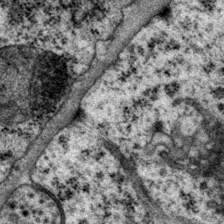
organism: P. pacificus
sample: Pharynx